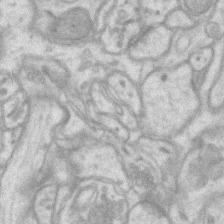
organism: Mouse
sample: CA1 Hippocampus